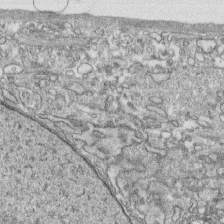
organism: Human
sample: CRL-1474